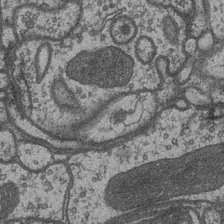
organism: Drosophila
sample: Optic medulla